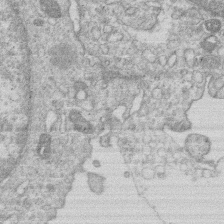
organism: Human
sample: Macrophage cells